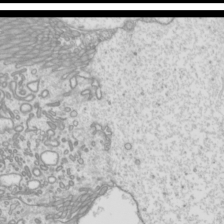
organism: Mouse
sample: Cilia; mouse epididymis